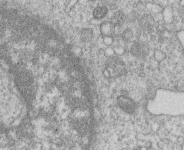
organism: Human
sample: Macrophage cells